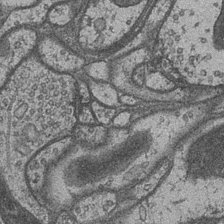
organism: Drosophila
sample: Optic medulla